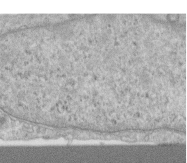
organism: Human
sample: Centriole in RPE cells